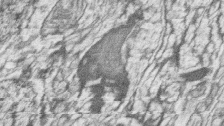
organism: Zebrafish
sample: synaptic ribbons in rod cells and cone cells